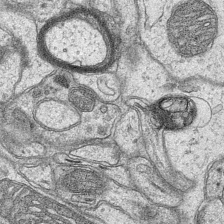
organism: Mouse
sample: CA1 Hippocampus